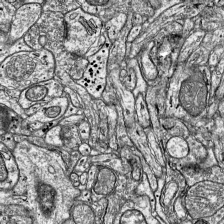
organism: Mouse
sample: Visual Cortex